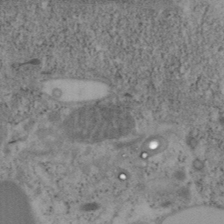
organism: Mouse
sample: OT-I killer T cells with ID8 ovarian cancer cells